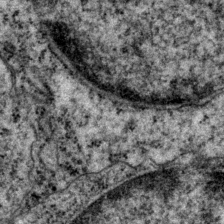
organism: P. pacificus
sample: Pharynx